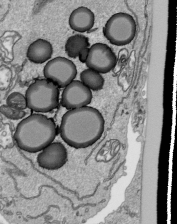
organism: Human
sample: Mitochondria in HCT116 cells